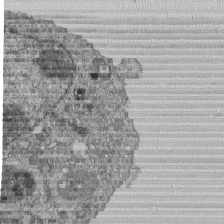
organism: Human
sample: MDA-MB-231 cells